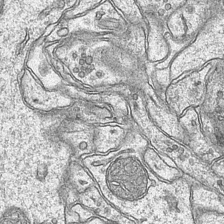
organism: Mouse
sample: CA1 Hippocampus